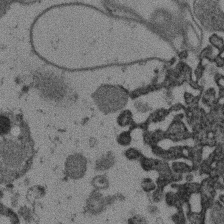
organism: Mouse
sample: Dividing mouse embryo 1 cell stage